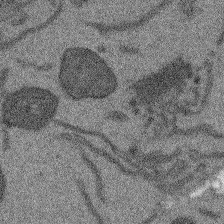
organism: Arabidopsis thaliana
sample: Root tip